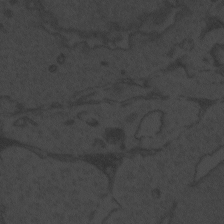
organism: Zebrafish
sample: Macrophage infected with Toxoplasma gondii